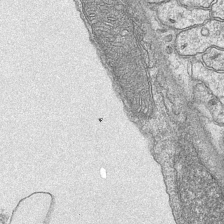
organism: Mouse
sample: CA1 Hippocampus